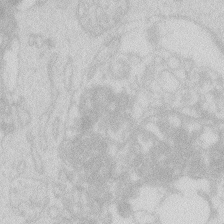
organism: Zebrafish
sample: Macrophage